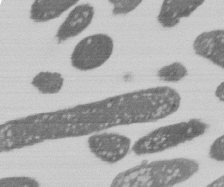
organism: E. coli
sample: Bacterial nucleoid